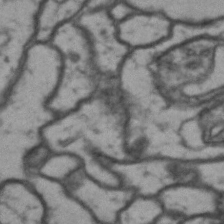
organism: Drosophila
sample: Brain